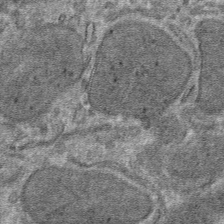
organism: Mouse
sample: Mouse hepatocytes